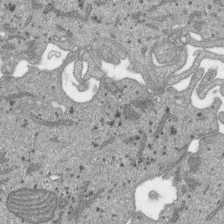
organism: Human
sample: Lung epithelial cells infected with SARS-CoV-2